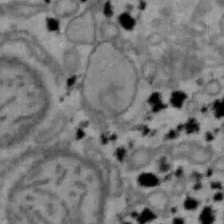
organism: Mouse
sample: Liver